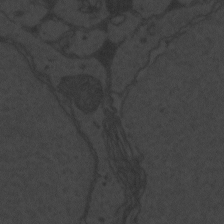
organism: Zebrafish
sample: Macrophage infected with Toxoplasma gondii